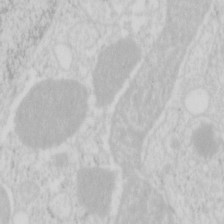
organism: Mouse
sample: Pancreas